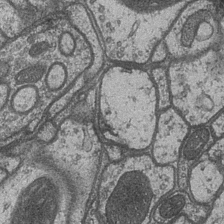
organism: Drosophila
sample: Optic medulla